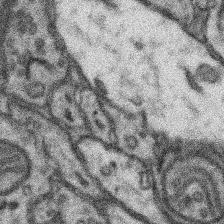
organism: Mouse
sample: Somatosensory cortex neuropil